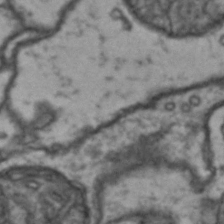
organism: Drosophila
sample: Brain